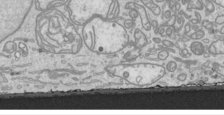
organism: Human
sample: Mitochondria in HCT116 cells